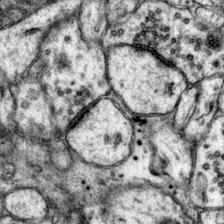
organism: Mouse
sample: Primary visual cortex